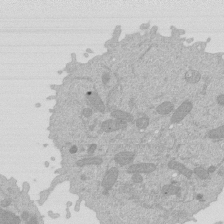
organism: Mouse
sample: Activated Pmel transgenic CD8+ T Cells